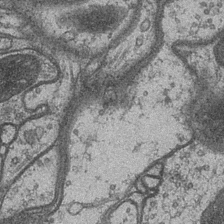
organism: Drosophila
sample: Optic medulla